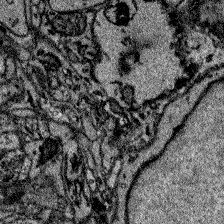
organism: Zebrafish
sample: Larval olfactory bulb